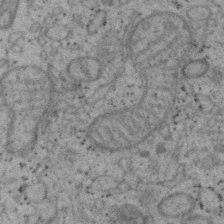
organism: Human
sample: HeLa cells